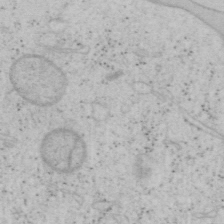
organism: Human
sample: HeLa cells